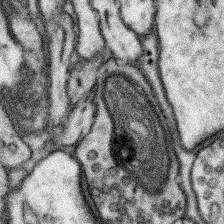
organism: Mouse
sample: Somatosensory cortex neuropil